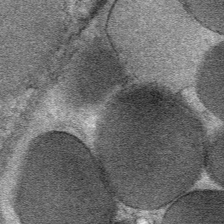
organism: Mouse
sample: Mouse Salivary gland